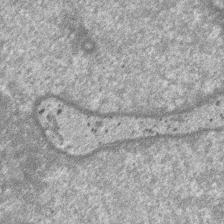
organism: Human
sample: Lung epithelial cells infected with SARS-CoV-2